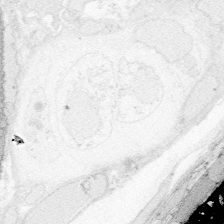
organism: Zebrafish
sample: Whole-Brain